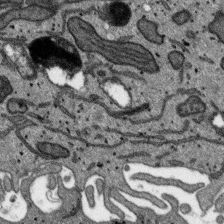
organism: Human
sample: Lung epithelial cells, uninfected (mock) control